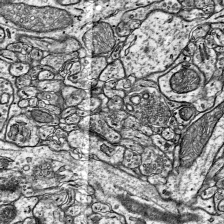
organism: Mouse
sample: Visual Cortex